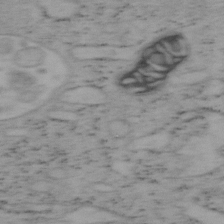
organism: Mouse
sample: OT-I killer T cells with ID8 ovarian cancer cells